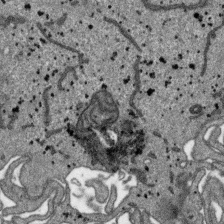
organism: Human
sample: Lung epithelial cells, uninfected (mock) control